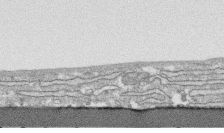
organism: Human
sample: CRL-1474